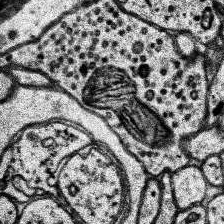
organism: Human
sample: Temporal Lobe